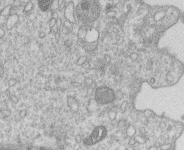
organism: Human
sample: Macrophage cells